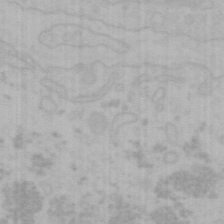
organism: Mouse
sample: Choroid plexus